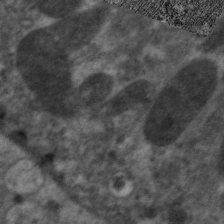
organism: C. elegans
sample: Pharynx